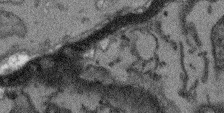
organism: Arabidopsis thaliana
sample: Root tip